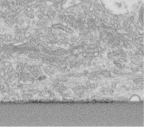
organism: Human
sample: Centriole in fibroblast cells